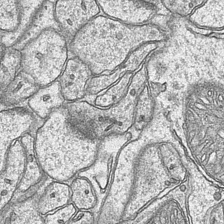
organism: Mouse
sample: CA1 Hippocampus